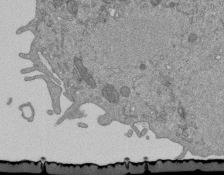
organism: Mouse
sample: ED-1 cell nuclei; centrioles